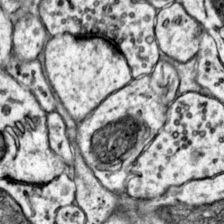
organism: Mouse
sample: Primary visual cortex